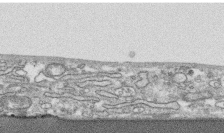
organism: Human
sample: CRL-1474